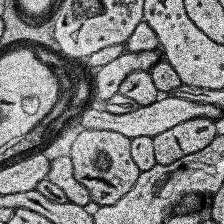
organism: Human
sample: Temporal Lobe